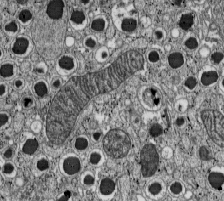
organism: C57BL Mouse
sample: Pancreatic islet